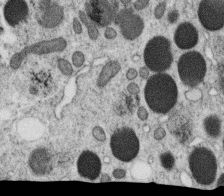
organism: C. elegans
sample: C. elegans oocyte; sperm cells